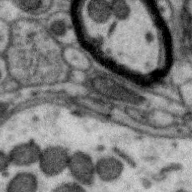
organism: Zebra finch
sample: Brain